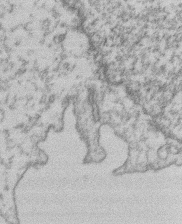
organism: Mouse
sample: T cell stromal cell synapse